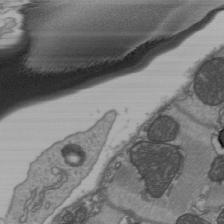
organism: C57BL Mouse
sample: Heart